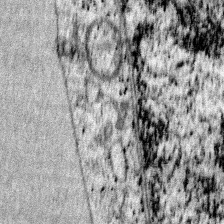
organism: Human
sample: HeLa cells